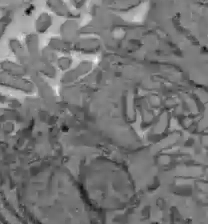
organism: C57BL Mouse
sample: Liver